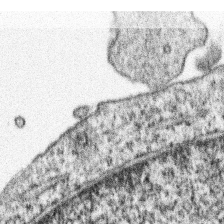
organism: Human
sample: HeLa cells